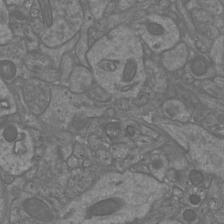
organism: Mouse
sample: Cortical neurons